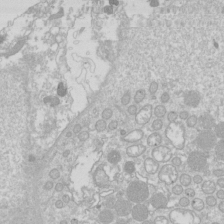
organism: Drosophila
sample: Cell division; meiosis; drosophila spermatocytes